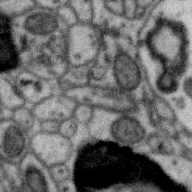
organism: Zebra finch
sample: Brain